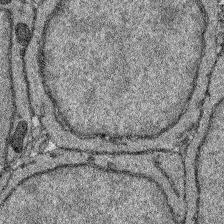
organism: Zebrafish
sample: Larval olfactory bulb